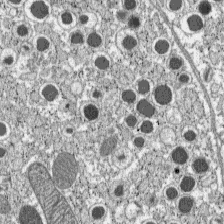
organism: C57BL Mouse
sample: Pancreatic islet